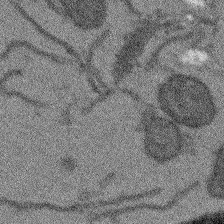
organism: Arabidopsis thaliana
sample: Root tip